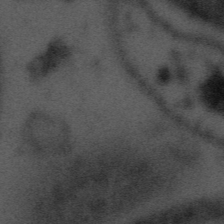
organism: Tuwongella immobilis